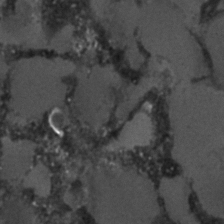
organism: C. elegans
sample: C. elegans embryo